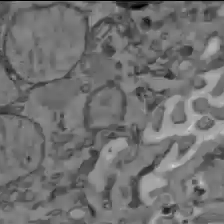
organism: C57BL Mouse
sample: Liver